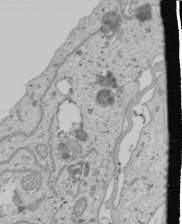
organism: Human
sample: Mitochondria in U2OS cells